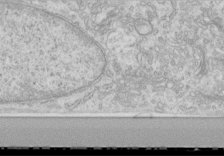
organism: Human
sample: Centriole in RPE cells